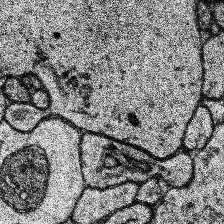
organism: Human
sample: Temporal Lobe